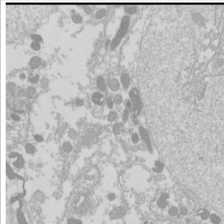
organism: Drosophila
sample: Cell division; meiosis; drosophila spermatocytes